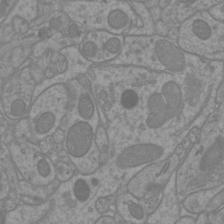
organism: Mouse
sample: Cortical neurons